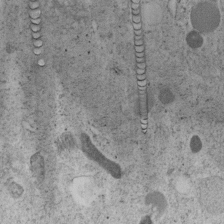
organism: C. elegans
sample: C. elegans embryo early stage